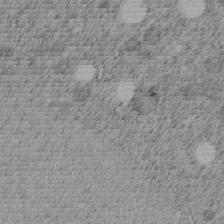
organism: C. elegans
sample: C. elegans embryo early stage